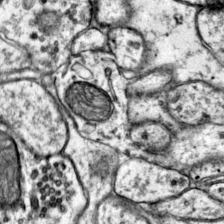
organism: Mouse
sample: Primary visual cortex